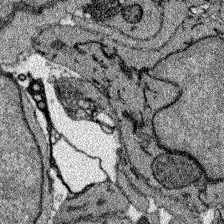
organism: Zebrafish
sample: Larval olfactory bulb